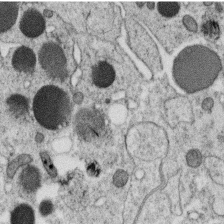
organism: C. elegans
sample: C. elegans oocyte; sperm cells